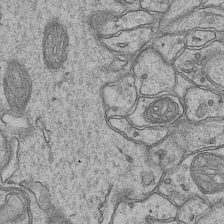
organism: Mouse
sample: CA1 Hippocampus